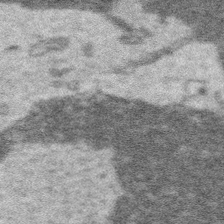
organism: Platynereis dumerilii